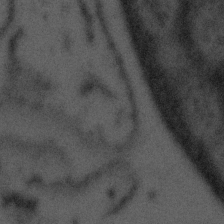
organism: Tuwongella immobilis